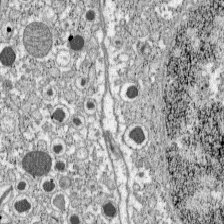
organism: C57BL Mouse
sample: Pancreatic islet